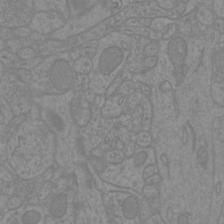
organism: Mouse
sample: Cortical neurons